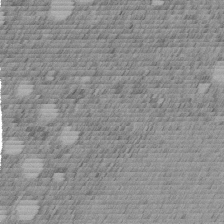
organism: C. elegans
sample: C. elegans embryo early stage